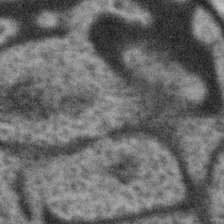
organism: Gemmata obscuriglobus